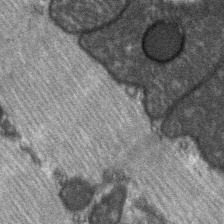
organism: C57BL Mouse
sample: Soleus